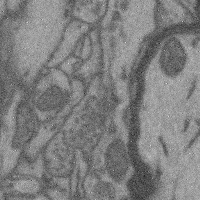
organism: Mouse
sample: Cerebral cortex